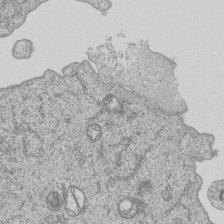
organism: Human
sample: MDA-MB-231 cells